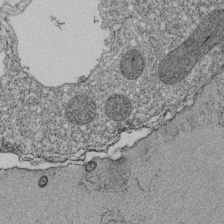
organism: Tetrahymena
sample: Cilia in tetrahymena